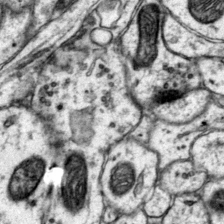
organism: Mouse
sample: Primary visual cortex